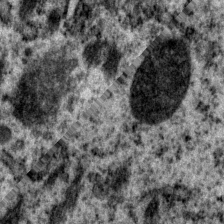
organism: P. pacificus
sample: Pharynx